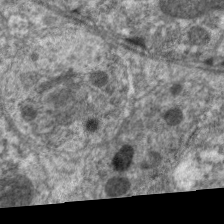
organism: C. elegans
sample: Pharynx